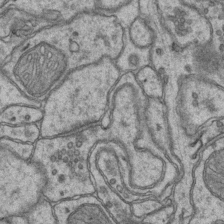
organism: Mouse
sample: CA1 Hippocampus